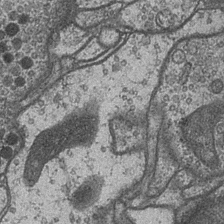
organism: Drosophila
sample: Optic medulla